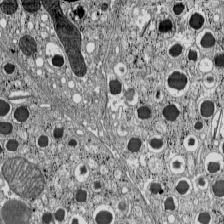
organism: C57BL Mouse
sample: Pancreatic islet